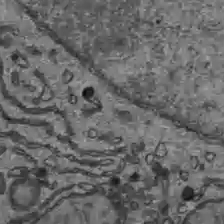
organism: C57BL Mouse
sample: Liver